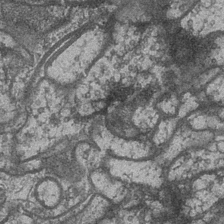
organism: Drosophila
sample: Optic medulla